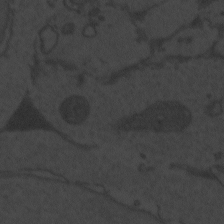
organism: Zebrafish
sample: Macrophage infected with Toxoplasma gondii